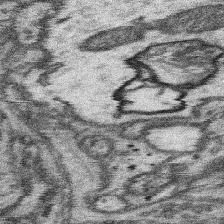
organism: Mouse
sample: Somatosensory cortex neuropil